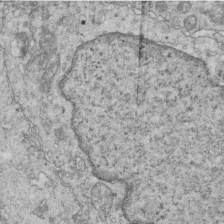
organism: Mouse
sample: Multiciliated cells